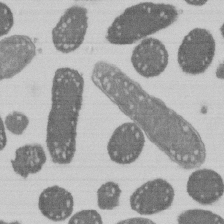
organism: E. coli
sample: Bacterial nucleoid